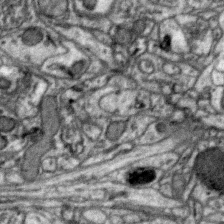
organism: Zebra finch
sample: Brain